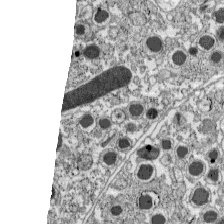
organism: C57BL Mouse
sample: Pancreatic islet